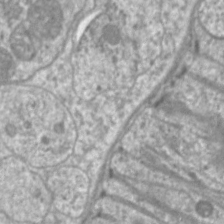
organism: C. elegans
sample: Pharynx